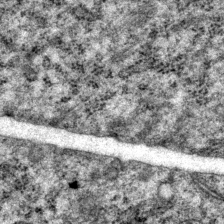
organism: P. pacificus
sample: Pharynx